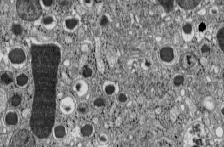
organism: C57BL Mouse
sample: Pancreatic islet